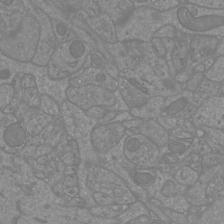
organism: Mouse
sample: Cortical neurons